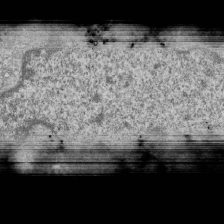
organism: Human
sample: MDA-MB-231 cells